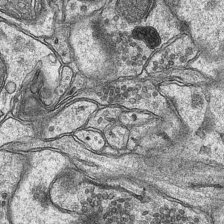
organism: Mouse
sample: CA1 Hippocampus